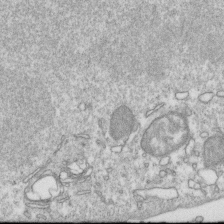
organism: Mouse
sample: Activated OT-1 CD8+ T cells